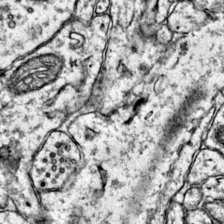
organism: Mouse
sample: Primary visual cortex